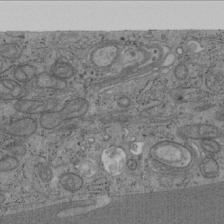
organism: Human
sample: HeLa cells